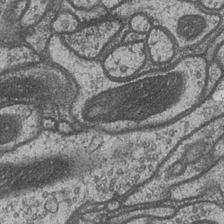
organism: Drosophila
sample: Optic medulla